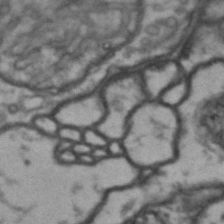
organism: Drosophila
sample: Brain